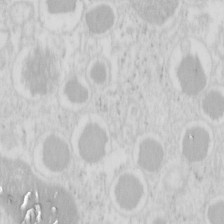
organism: Mouse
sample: Pancreas